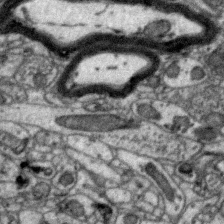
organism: Zebra finch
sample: Brain